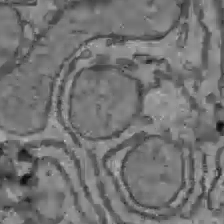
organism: C57BL Mouse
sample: Liver